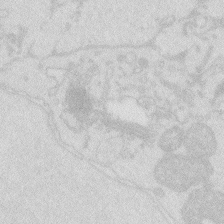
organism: Zebrafish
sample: Macrophage